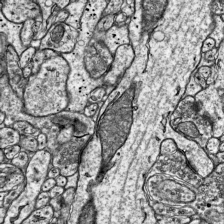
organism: Mouse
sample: Visual Cortex